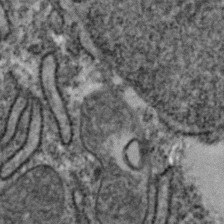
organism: Zebrafish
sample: Zebrafish embryo